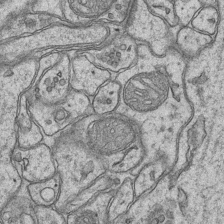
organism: Mouse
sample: CA1 Hippocampus